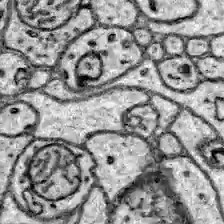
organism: Zebrafish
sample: Brain